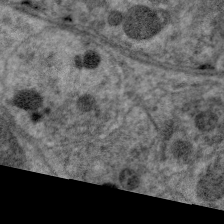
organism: C. elegans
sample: Pharynx